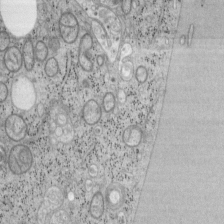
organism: Mouse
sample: OT-I killer T cells with ID8 ovarian cancer cells